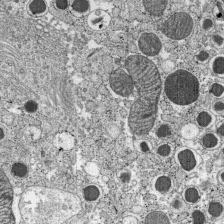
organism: C57BL Mouse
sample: Pancreatic islet